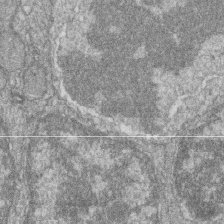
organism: Zebrafish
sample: Cilia; retinal pigment epithelium